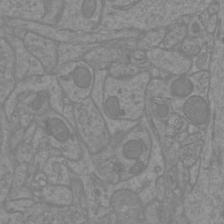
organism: Mouse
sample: Cortical neurons